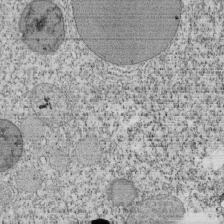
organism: Tetrahymena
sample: Cilia in tetrahymena